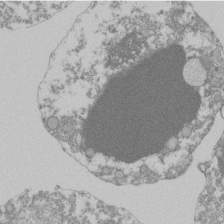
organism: Mouse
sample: Activated Pmel transgenic CD8+ T Cells